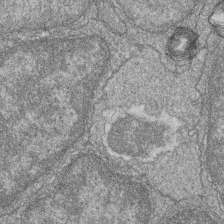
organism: Zebrafish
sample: Cilia; retinal pigment epithelium